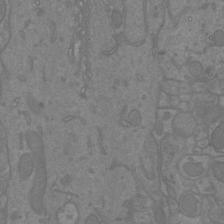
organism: Mouse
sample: Cortical neurons